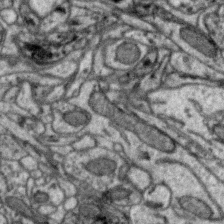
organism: Zebra finch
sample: Brain